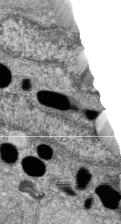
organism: Zebrafish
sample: Cilia; retinal pigment epithelium